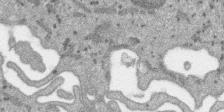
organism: Human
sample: Lung epithelial cells infected with SARS-CoV-2